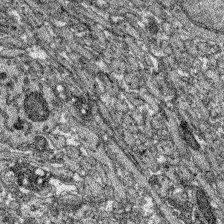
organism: Zebrafish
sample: Larval olfactory bulb